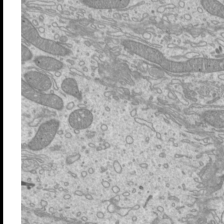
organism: Mouse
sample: Cilia; mouse epididymis